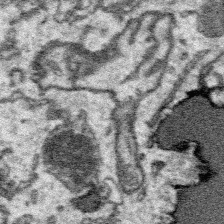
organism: Platynereis dumerilii